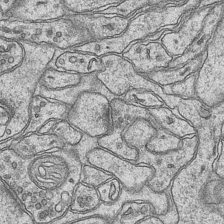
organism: Mouse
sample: CA1 Hippocampus